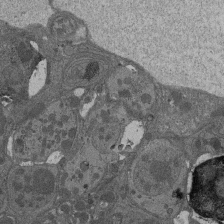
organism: Drosophila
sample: Antenna